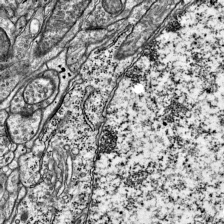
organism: Mouse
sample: Visual Cortex